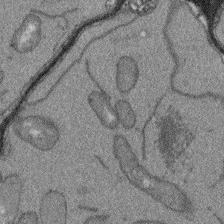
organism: Arabidopsis thaliana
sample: Root tip